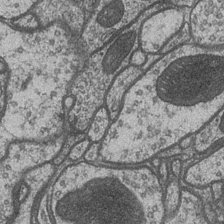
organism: Drosophila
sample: Optic medulla